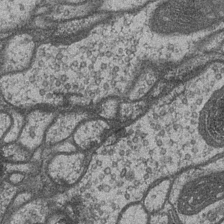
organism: Drosophila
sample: Optic medulla